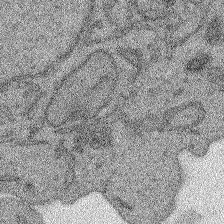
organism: Human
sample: HeLa cells